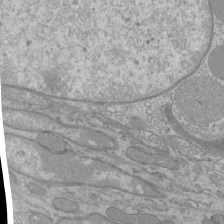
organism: Mouse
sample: Cilia; mouse epididymis